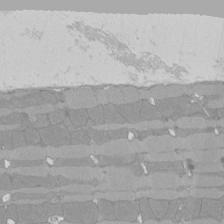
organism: Rat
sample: Left ventricle